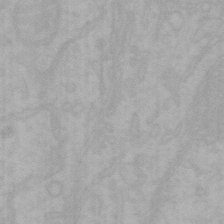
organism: Mouse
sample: Choroid plexus